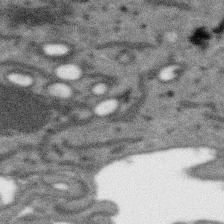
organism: Human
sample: Lung epithelial cells infected with SARS-CoV-2